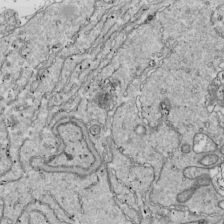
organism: Drosophila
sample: Cell division; meiosis; drosophila spermatocytes